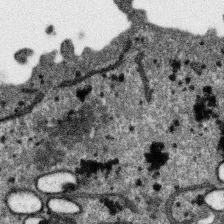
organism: Human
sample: Lung epithelial cells infected with SARS-CoV-2